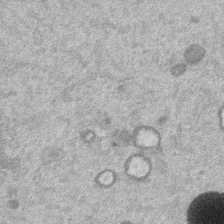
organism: Mouse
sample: Dividing mouse embryo 1 cell stage